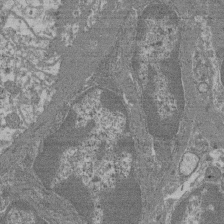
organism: Mouse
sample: Glomerulus